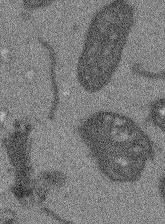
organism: Arabidopsis thaliana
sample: Root tip